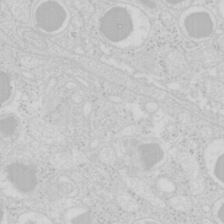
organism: Mouse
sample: Pancreas